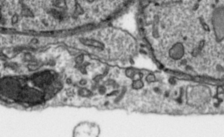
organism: Toxoplasma gondii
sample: Parasites in a vacuole inside a host cell